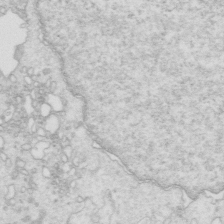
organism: Mouse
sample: Multiciliated cells